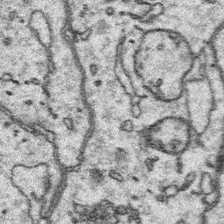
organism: Platynereis dumerilii